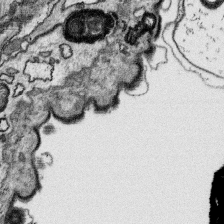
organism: Platynereis dumerilii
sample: Parapodia